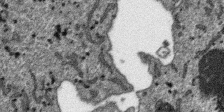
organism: Human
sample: Lung epithelial cells infected with SARS-CoV-2